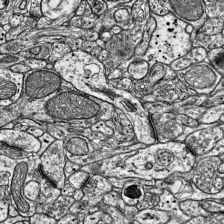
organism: Mouse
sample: Visual Cortex